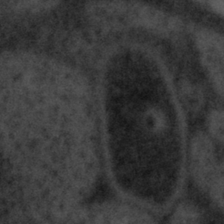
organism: Tuwongella immobilis